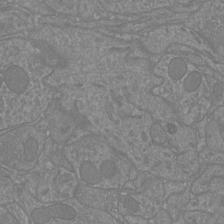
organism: Mouse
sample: Cortical neurons